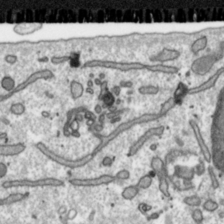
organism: Toxoplasma gondii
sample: Parasites in a vacuole inside a host cell